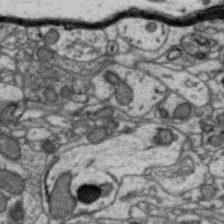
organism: Zebra finch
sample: Brain